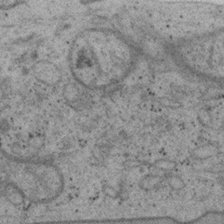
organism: Human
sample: HeLa cells